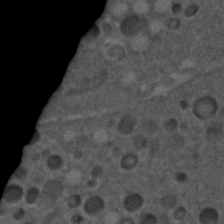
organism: C. elegans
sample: C. elegans embryo